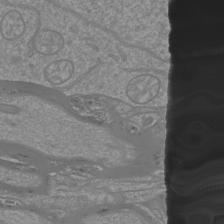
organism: Mouse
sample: Cortical neurons